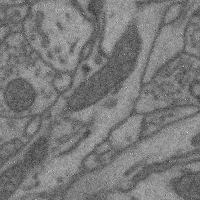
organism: Mouse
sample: Cerebral cortex